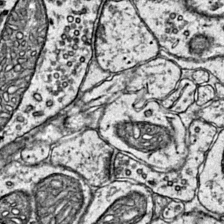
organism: Mouse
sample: Primary visual cortex